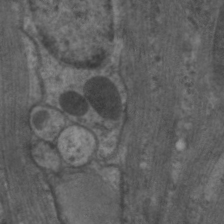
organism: C. elegans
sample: Pharynx